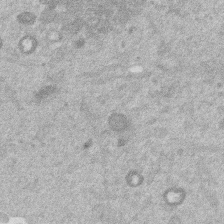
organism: Mouse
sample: Dividing mouse embryo 1 cell stage